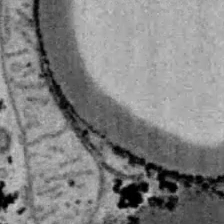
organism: Mouse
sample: Liver from an obese (ob/ob) mouse